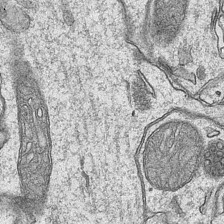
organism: Mouse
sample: CA1 Hippocampus